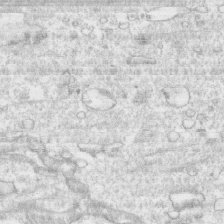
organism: Human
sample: CRL-1474